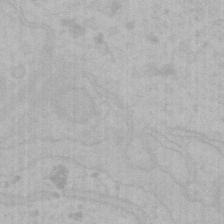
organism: Mouse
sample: Choroid plexus